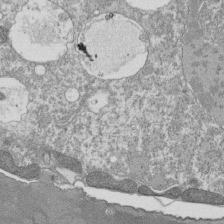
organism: Tetrahymena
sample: Cilia in tetrahymena